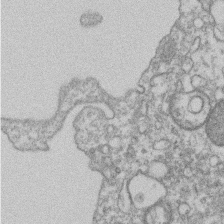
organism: Mouse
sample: T cell stromal cell synapse